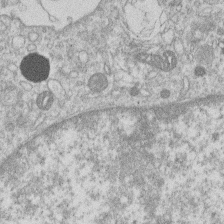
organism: Human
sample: Macrophage cells